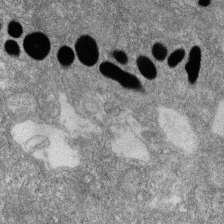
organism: Zebrafish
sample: Cilia; retinal pigment epithelium